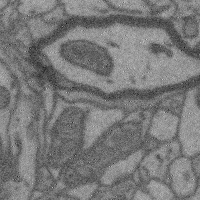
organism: Mouse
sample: Cerebral cortex